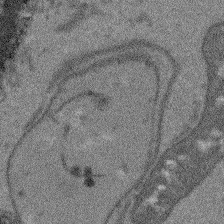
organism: Arabidopsis thaliana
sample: Root tip